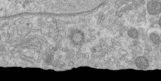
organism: Human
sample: Centriole in RPE cells